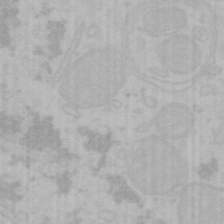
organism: Mouse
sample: Choroid plexus